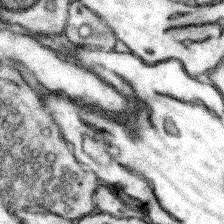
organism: Mouse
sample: Somatosensory cortex neuropil